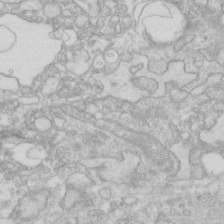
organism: Human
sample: Fibroblast cells